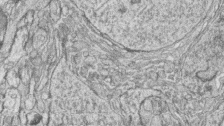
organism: Zebrafish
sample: synaptic ribbons in rod cells and cone cells